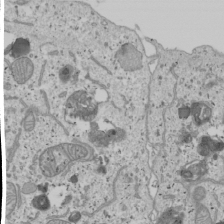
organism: Human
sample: Mitochondria in U2OS cells